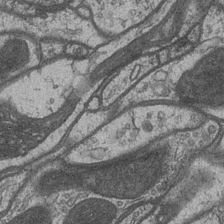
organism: Drosophila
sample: Optic medulla